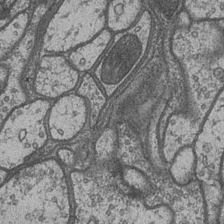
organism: Drosophila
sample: Optic medulla